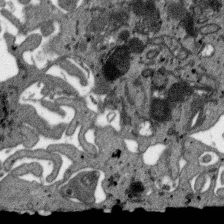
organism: Human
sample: Lung epithelial cells, uninfected (mock) control